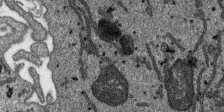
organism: Human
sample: Lung epithelial cells infected with SARS-CoV-2